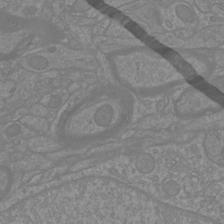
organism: Mouse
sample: Cortical neurons